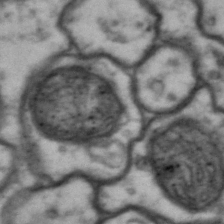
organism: Drosophila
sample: Brain